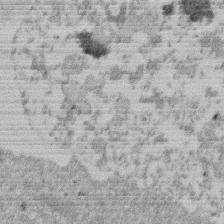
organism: Mouse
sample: Dividing mouse embryo 1 cell stage